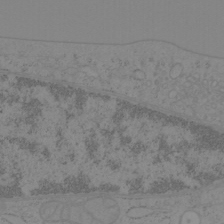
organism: Human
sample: HeLa cells